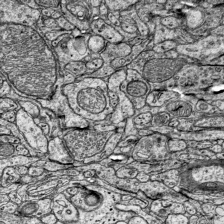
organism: Mouse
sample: Visual Cortex